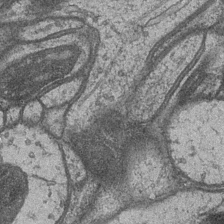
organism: Drosophila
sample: Optic medulla